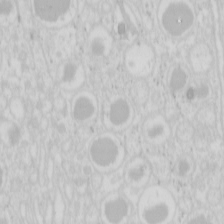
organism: Mouse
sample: Pancreas